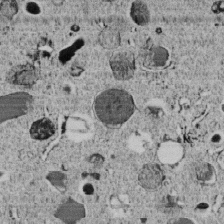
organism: C. elegans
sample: C. elegans embryo early stage